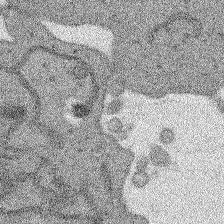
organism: Human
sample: HeLa cells